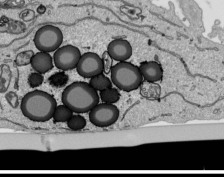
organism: Human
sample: Mitochondria in HCT116 cells